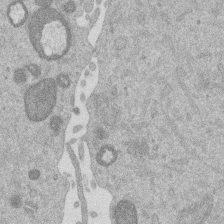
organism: Mouse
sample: Dividing mouse embryo 1 cell stage